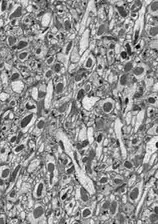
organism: Drosophila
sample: Optic lobe